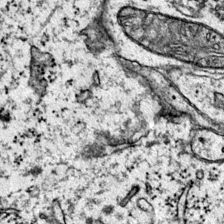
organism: Mouse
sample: Primary visual cortex